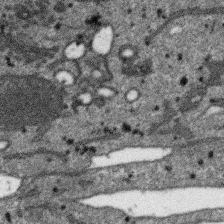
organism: Human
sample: Lung epithelial cells infected with SARS-CoV-2